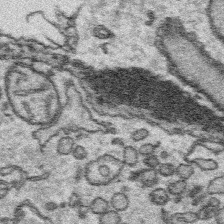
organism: Platynereis dumerilii